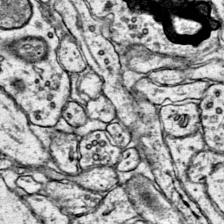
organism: Mouse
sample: Primary visual cortex